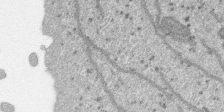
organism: Human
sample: Lung epithelial cells infected with SARS-CoV-2